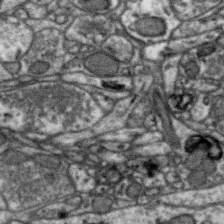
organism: Zebra finch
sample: Brain